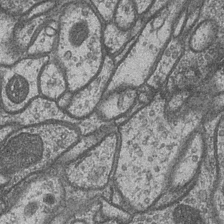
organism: Drosophila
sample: Optic medulla